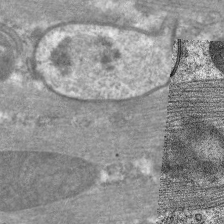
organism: C. elegans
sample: Pharynx